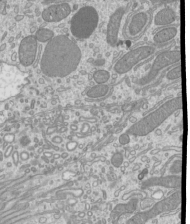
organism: Mouse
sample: Cilia; mouse epididymis